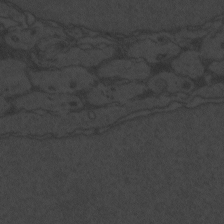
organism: Zebrafish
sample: Macrophage infected with Toxoplasma gondii